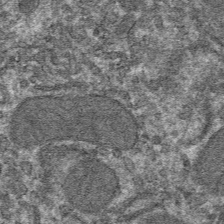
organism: Mouse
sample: Mouse hepatocytes